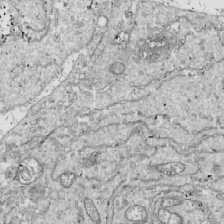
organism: Drosophila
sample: Cell division; meiosis; drosophila spermatocytes